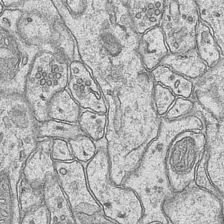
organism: Mouse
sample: CA1 Hippocampus